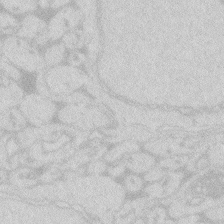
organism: Zebrafish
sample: Macrophage